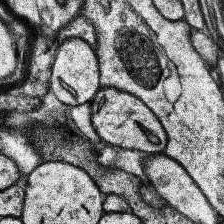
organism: Human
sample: Temporal Lobe